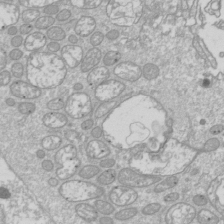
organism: Drosophila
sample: Cell division; meiosis; drosophila spermatocytes